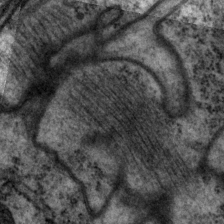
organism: P. pacificus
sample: Pharynx